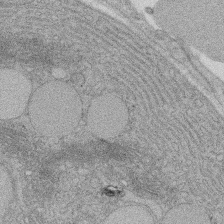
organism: Rat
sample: Salivary granule